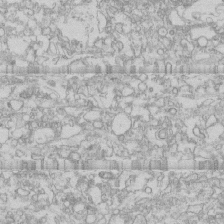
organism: Human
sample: CRL-1474